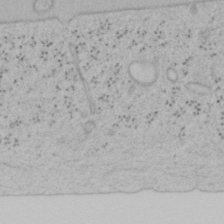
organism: Human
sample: HeLa cells